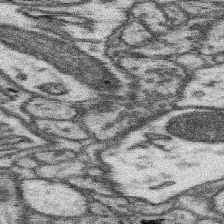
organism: Mouse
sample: Somatosensory cortex neuropil